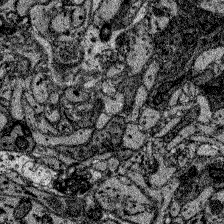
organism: Zebrafish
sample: Larval olfactory bulb